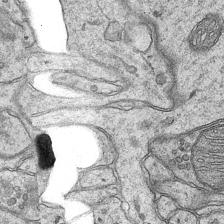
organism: Mouse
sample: CA1 Hippocampus